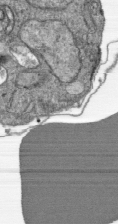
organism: Plasmodium falciparum